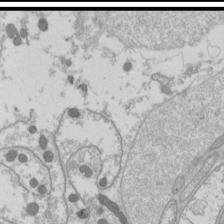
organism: Drosophila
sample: Cell division; meiosis; drosophila spermatocytes